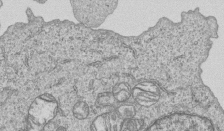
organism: Human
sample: MDA-MB-231 cells